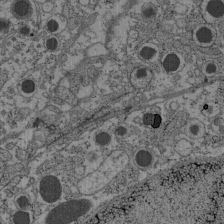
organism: C57BL Mouse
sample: Pancreatic islet